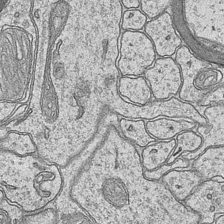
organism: Mouse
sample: CA1 Hippocampus